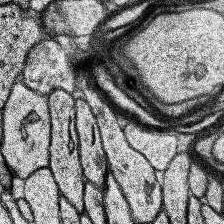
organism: Human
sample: Temporal Lobe